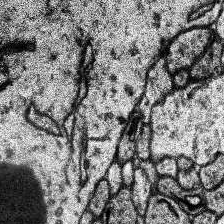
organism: Human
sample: Temporal Lobe